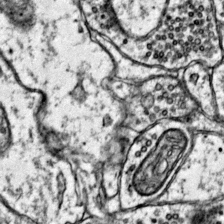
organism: Mouse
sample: Primary visual cortex